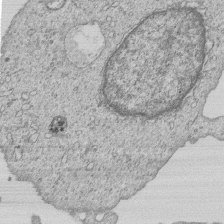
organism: Human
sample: MDA-MB-231 cells